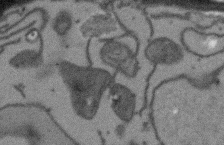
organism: Arabidopsis thaliana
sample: Root tip